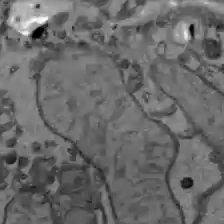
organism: C57BL Mouse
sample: Liver